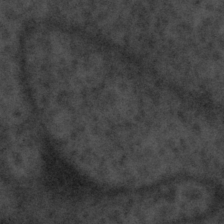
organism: Tuwongella immobilis